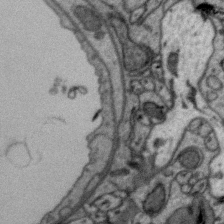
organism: Zebra finch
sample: Brain